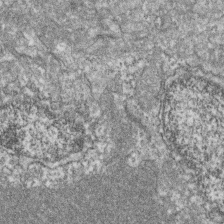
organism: Zebrafish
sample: Cilia; retinal pigment epithelium